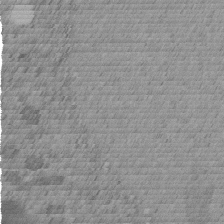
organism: C. elegans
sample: C. elegans embryo early stage